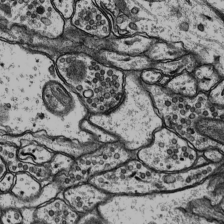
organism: Rat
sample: Hippocampus